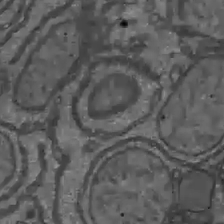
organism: C57BL Mouse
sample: Liver